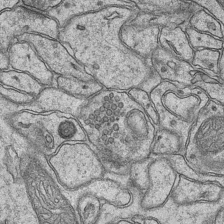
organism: Mouse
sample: CA1 Hippocampus